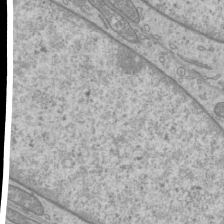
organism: Mouse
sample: Cilia; mouse epididymis